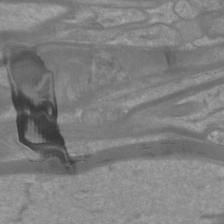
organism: Mouse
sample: Cortical neurons